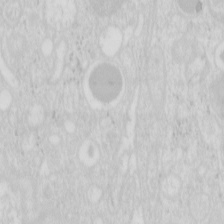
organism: Mouse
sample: Pancreas